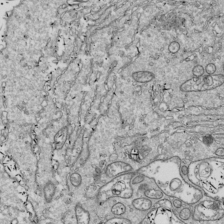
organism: Drosophila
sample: Cell division; meiosis; drosophila spermatocytes